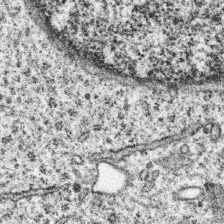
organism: Human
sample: HeLa cells